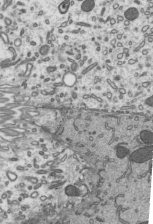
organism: Mouse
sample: Mouse epididymis efferent ductule cilia